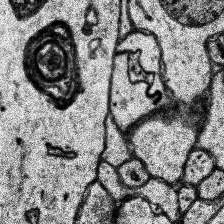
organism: Human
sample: Temporal Lobe